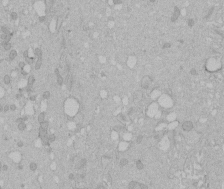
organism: Human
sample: Melanocyte Keratinocyte synapse skin construct